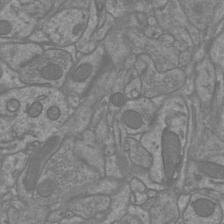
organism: Mouse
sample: Cortical neurons